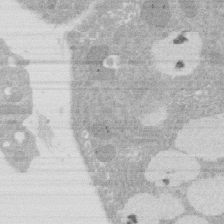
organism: Rat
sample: Salivary granule